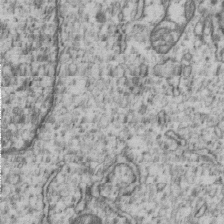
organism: Human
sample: MDA-MB-231 cells